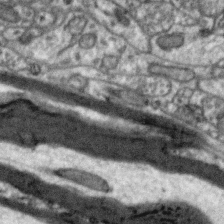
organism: Zebra finch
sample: Brain